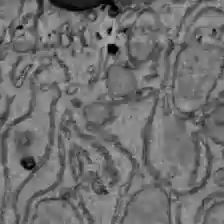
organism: C57BL Mouse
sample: Liver